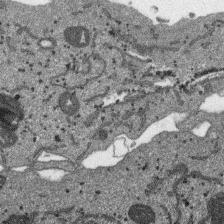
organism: Human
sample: Lung epithelial cells infected with SARS-CoV-2